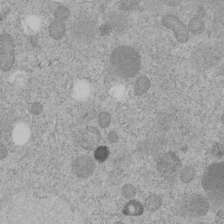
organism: C. elegans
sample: C. elegans embryo early stage